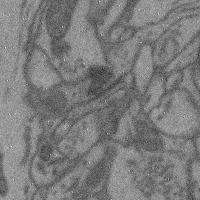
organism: Mouse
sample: Cerebral cortex